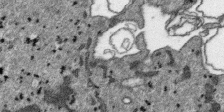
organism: Human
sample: Lung epithelial cells, uninfected (mock) control